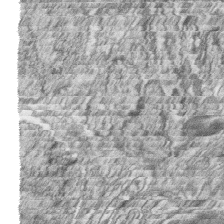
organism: Zebrafish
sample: synaptic ribbons in rod cells and cone cells